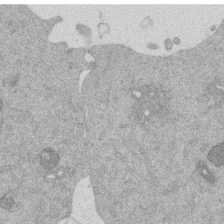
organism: Mouse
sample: Dividing mouse embryo 1 cell stage